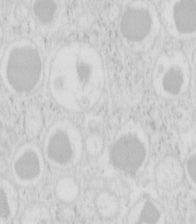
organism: Mouse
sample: Pancreas